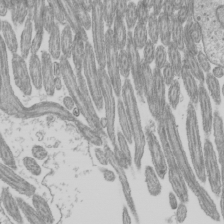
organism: Mouse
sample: Cilia; mouse epididymis